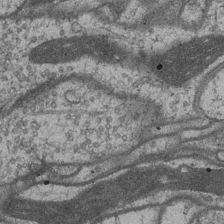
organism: Drosophila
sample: Optic medulla